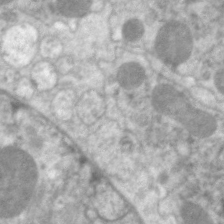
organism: C. elegans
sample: Pharynx